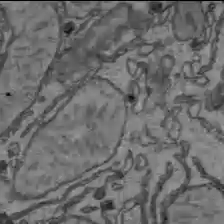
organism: C57BL Mouse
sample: Liver